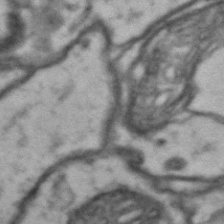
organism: Drosophila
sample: Brain